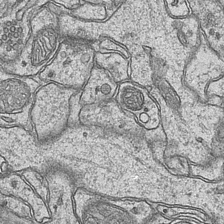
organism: Mouse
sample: CA1 Hippocampus